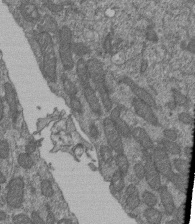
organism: Human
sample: Retinal organoid Rod and Cone cells